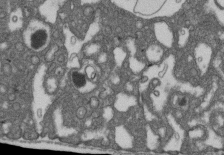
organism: Drosophila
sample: Nephrocyte